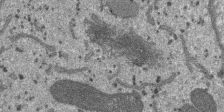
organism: Human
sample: Lung epithelial cells infected with SARS-CoV-2